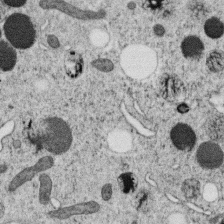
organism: C. elegans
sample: C. elegans oocyte; sperm cells